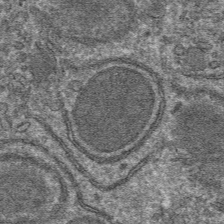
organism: Mouse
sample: Mouse hepatocytes